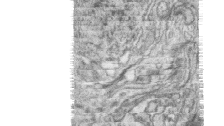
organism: Zebrafish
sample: synaptic ribbons in rod cells and cone cells